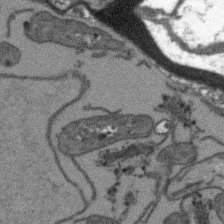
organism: Arabidopsis thaliana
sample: Root tip